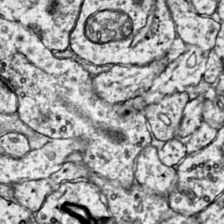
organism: Mouse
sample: Primary visual cortex